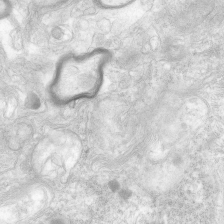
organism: Human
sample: Neocortex